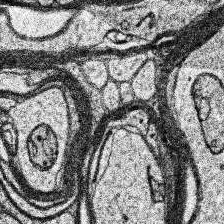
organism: Human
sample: Temporal Lobe